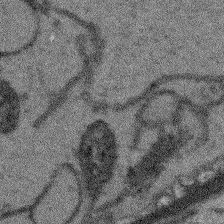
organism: Arabidopsis thaliana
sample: Root tip